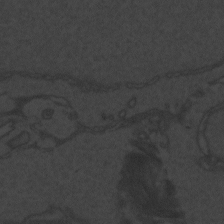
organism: Zebrafish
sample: Macrophage infected with Toxoplasma gondii